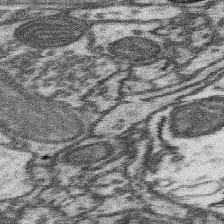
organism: Mouse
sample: Somatosensory cortex neuropil